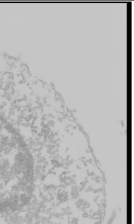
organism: Mouse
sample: Cancer cell death in ED-1 cells